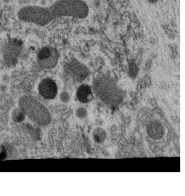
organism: C. elegans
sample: C. elegans oocyte; sperm cells